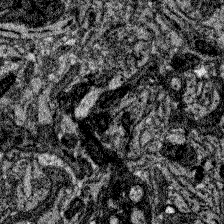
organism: Zebrafish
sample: Larval olfactory bulb